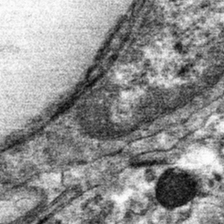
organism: Mouse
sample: Mouse hepatocytes